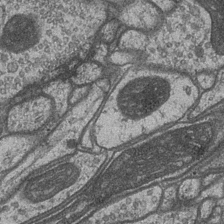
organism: Drosophila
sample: Optic medulla